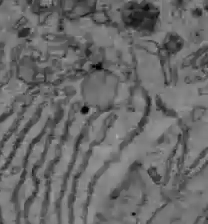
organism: C57BL Mouse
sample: Liver